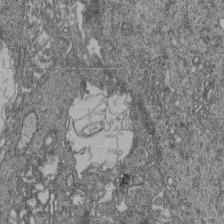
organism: Human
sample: Retinal organoid Rod and Cone cells